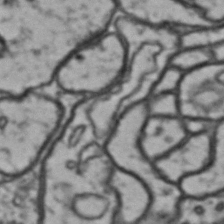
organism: Drosophila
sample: Brain